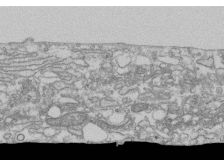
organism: Human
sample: Fibroblast cells